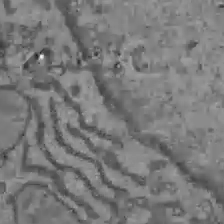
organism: C57BL Mouse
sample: Liver